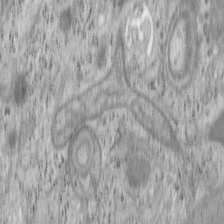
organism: Human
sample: HeLa cells